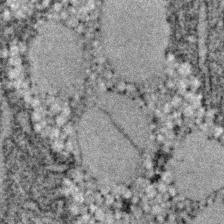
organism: C. elegans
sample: C. elegans embryo